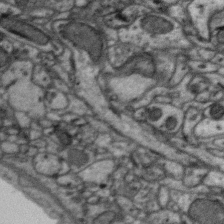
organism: Zebra finch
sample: Brain